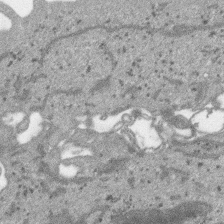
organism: Human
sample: Lung epithelial cells infected with SARS-CoV-2